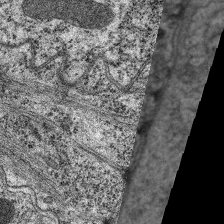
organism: C. elegans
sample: Pharynx